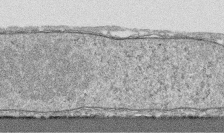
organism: Human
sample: CRL-1474